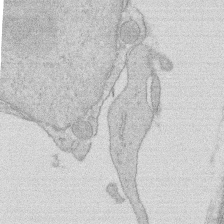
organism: Rat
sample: Salivary granule